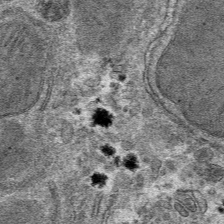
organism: Mouse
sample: Mouse hepatocytes